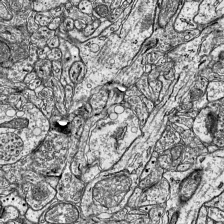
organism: Mouse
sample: Visual Cortex